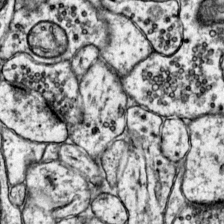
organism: Mouse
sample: Primary visual cortex